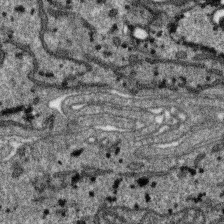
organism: Human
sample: Lung epithelial cells infected with SARS-CoV-2